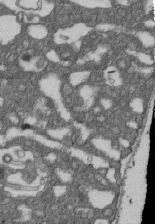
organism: Drosophila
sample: Nephrocyte